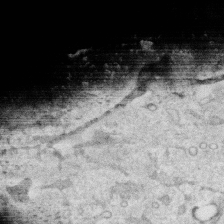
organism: Human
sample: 1205lu cells